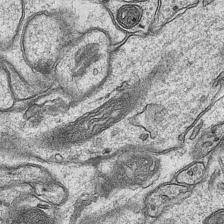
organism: Mouse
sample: CA1 Hippocampus